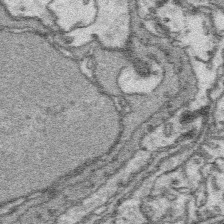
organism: Platynereis dumerilii